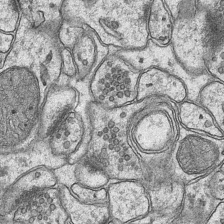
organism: Mouse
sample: CA1 Hippocampus